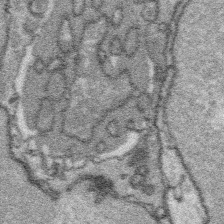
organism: Platynereis dumerilii